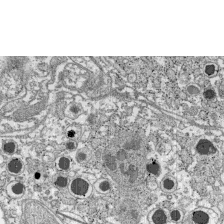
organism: C57BL Mouse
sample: Pancreatic islet